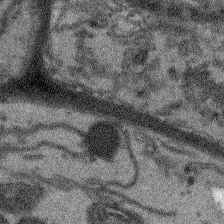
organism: Arabidopsis thaliana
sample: Root tip